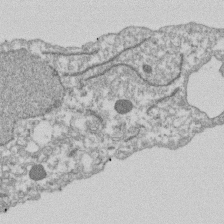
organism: Dictyostelium discoideum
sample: Dictyostelium multivesicular bodies